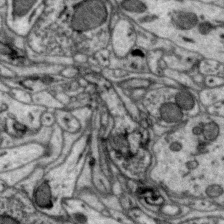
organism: Zebra finch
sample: Brain